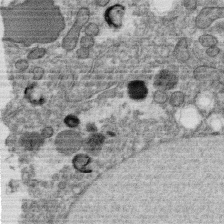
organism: C. elegans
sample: C. elegans oocyte; sperm cells